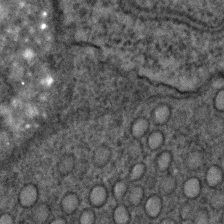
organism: C. elegans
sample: C. elegans embryo